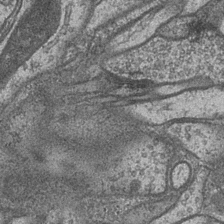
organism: Drosophila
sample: Optic medulla